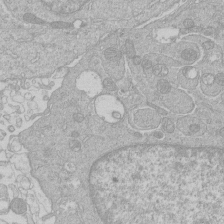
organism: Human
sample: Macrophage cells